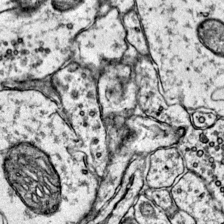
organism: Mouse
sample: Primary visual cortex